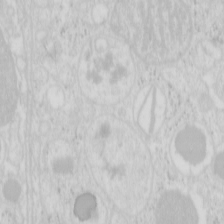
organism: Mouse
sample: Pancreas